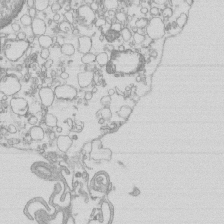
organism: Mouse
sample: Macrophages